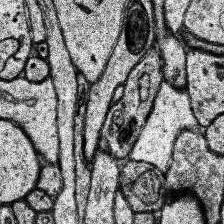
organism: Human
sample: Temporal Lobe